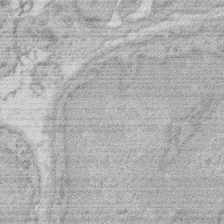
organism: Rat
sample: Salivary granule